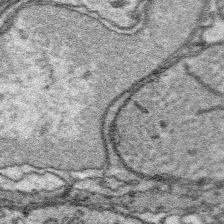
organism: Platynereis dumerilii